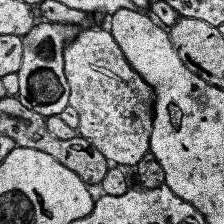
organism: Human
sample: Temporal Lobe